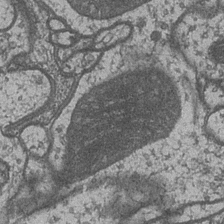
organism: Drosophila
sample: Optic medulla